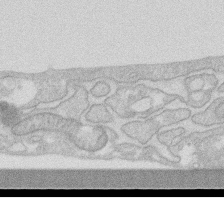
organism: Human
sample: Fibroblast cells